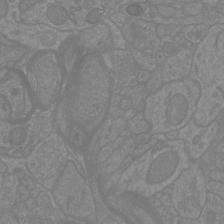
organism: Mouse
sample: Cortical neurons